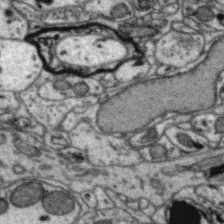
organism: Zebra finch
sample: Brain